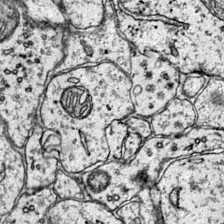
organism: Mouse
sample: Primary visual cortex